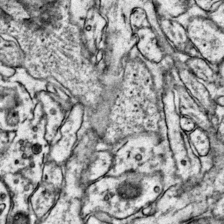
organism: Mouse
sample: Primary visual cortex